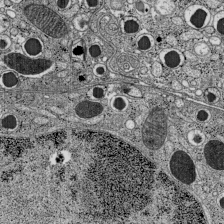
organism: C57BL Mouse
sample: Pancreatic islet